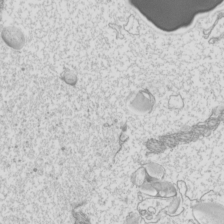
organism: Mouse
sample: Cilia; mouse epididymis